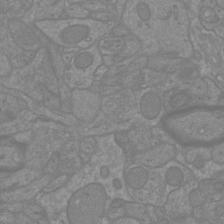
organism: Mouse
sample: Cortical neurons